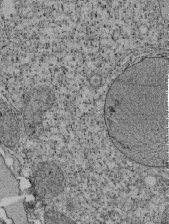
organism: Tetrahymena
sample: Cilia in tetrahymena